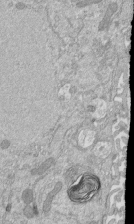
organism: Mouse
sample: ED-1 cell nuclei; centrioles